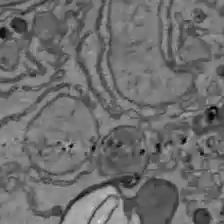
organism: C57BL Mouse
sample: Liver